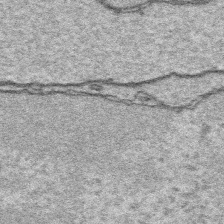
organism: Platynereis dumerilii